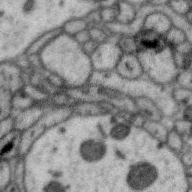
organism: Zebra finch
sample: Brain